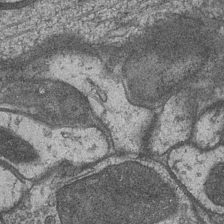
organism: Drosophila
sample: Optic medulla